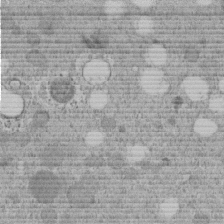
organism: C. elegans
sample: C. elegans embryo early stage